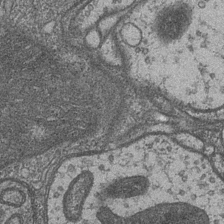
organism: Drosophila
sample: Optic medulla